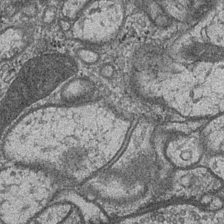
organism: Drosophila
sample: Optic medulla